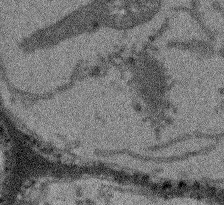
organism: Arabidopsis thaliana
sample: Root tip